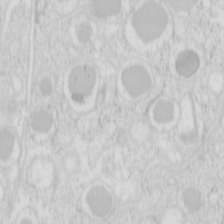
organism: Mouse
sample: Pancreas